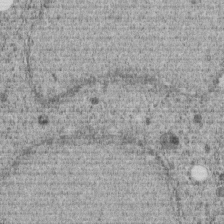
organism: C. elegans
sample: C. elegans embryo early stage